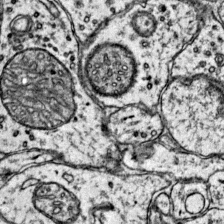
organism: Mouse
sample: Primary visual cortex